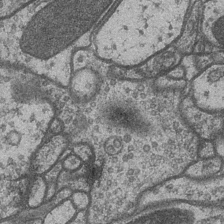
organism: Drosophila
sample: Optic medulla